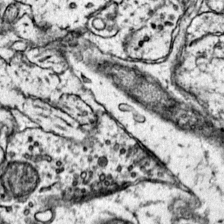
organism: Mouse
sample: Primary visual cortex